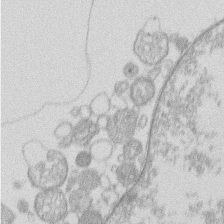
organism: Human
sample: Macrophage cells